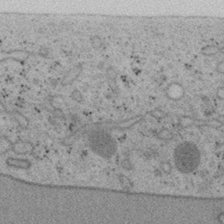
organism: Human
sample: HeLa cells